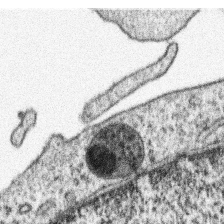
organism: Human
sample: HeLa cells